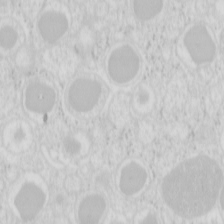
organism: Mouse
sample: Pancreas